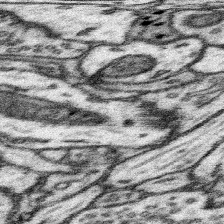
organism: Mouse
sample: Somatosensory cortex neuropil